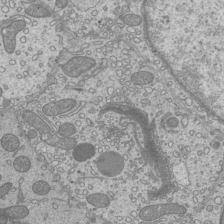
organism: Mouse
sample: Cilia; mouse epididymis